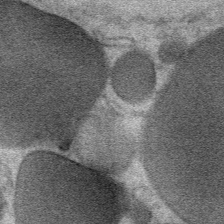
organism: Mouse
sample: Mouse Salivary gland